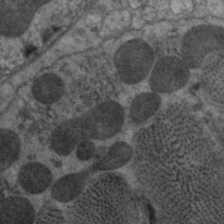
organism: C. elegans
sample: Pharynx